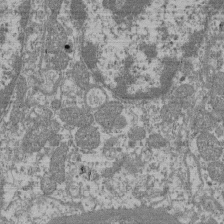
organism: Mouse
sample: Glomerulus